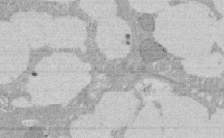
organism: Rat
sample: Salivary granule